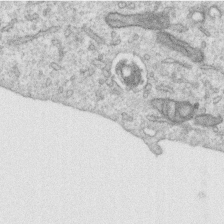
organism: Human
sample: Centriole in RPE cells